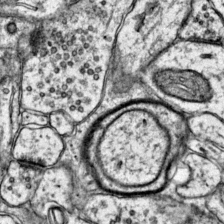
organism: Mouse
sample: Primary visual cortex